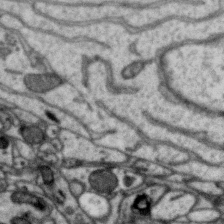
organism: Zebra finch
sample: Brain